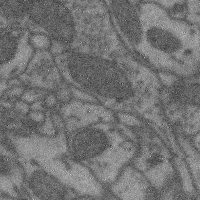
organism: Mouse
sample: Cerebral cortex